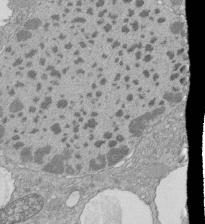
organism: Tetrahymena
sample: Cilia in tetrahymena